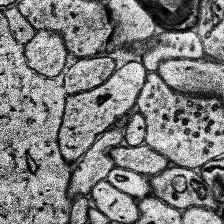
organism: Human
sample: Temporal Lobe